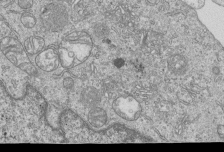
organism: Human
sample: MDA-MB-231 cells